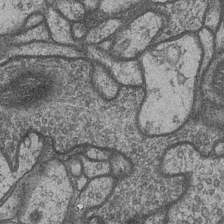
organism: Drosophila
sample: Optic medulla